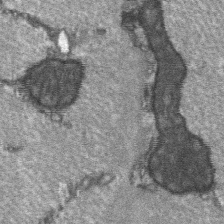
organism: C57BL Mouse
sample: Soleus